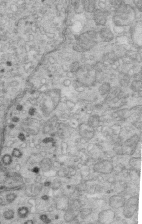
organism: Mouse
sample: Multiciliated cells